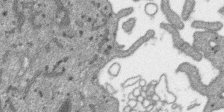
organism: Human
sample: Lung epithelial cells infected with SARS-CoV-2